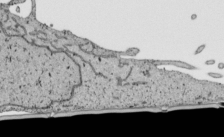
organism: Human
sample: Mitochondria in HCT116 cells